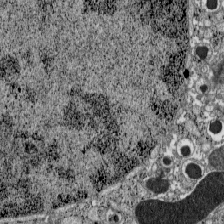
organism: C57BL Mouse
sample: Pancreatic islet